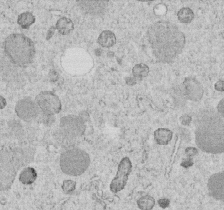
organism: C. elegans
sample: C. elegans embryo early stage